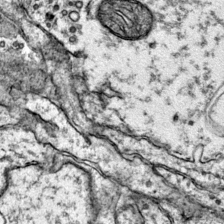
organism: Mouse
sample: Primary visual cortex